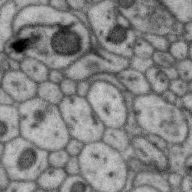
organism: Zebra finch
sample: Brain